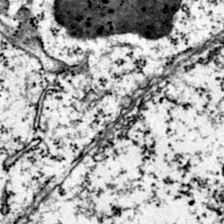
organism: Mouse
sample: Primary visual cortex